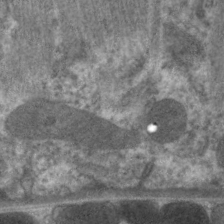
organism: C. elegans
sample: Pharynx